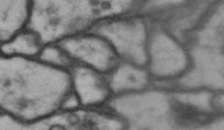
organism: Drosophila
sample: Brain